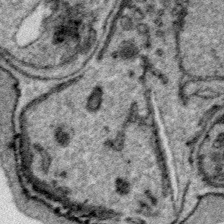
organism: Plasmodium falciparum